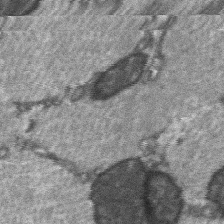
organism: C57BL Mouse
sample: Soleus